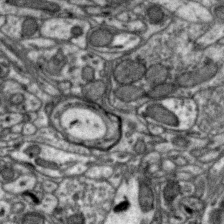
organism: Zebra finch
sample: Brain